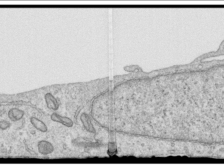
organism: Human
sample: Centriole in RPE cells